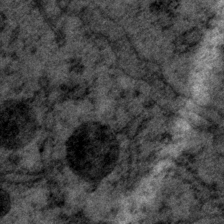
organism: P. pacificus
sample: Pharynx